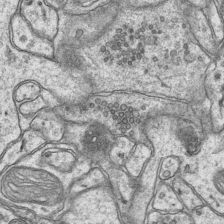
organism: Mouse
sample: CA1 Hippocampus